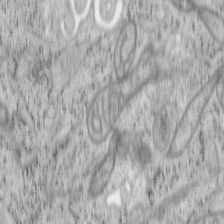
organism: Human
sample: HeLa cells